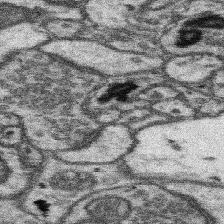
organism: Mouse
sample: Somatosensory cortex neuropil